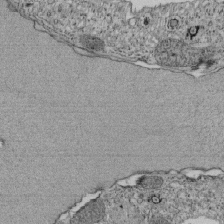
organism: Tetrahymena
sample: Cilia in tetrahymena